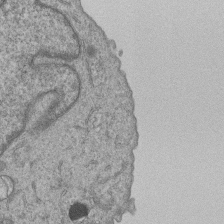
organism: Human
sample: MDA-MB-231 cells